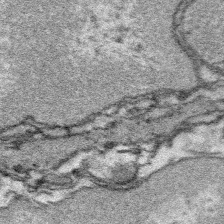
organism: Platynereis dumerilii